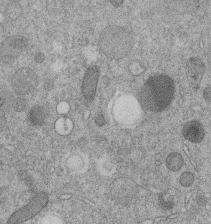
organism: C. elegans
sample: C. elegans embryo early stage